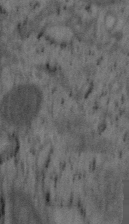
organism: Human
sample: HeLa cells